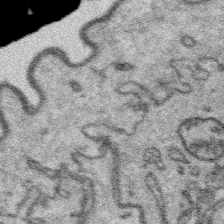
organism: Platynereis dumerilii